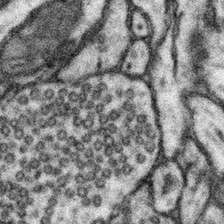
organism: Mouse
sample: Somatosensory cortex neuropil